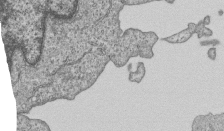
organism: Human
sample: MDA-MB-231 cells